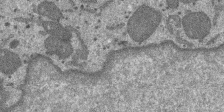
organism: Human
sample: Lung epithelial cells infected with SARS-CoV-2